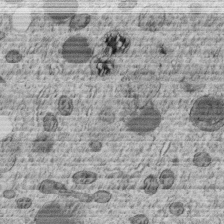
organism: C. elegans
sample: C. elegans embryo early stage